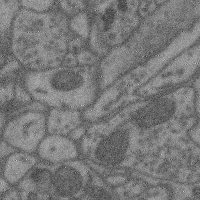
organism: Mouse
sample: Cerebral cortex